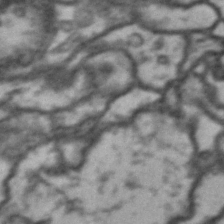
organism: Drosophila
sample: Brain